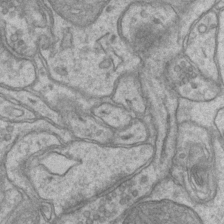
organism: Mouse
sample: CA1 Hippocampus